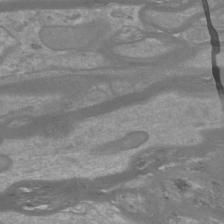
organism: Mouse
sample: Cortical neurons